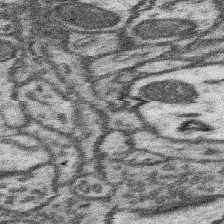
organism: Mouse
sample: Somatosensory cortex neuropil